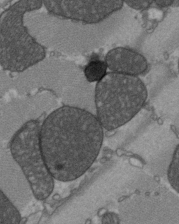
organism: C57BL Mouse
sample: Heart